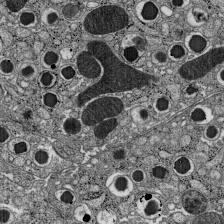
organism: C57BL Mouse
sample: Pancreatic islet